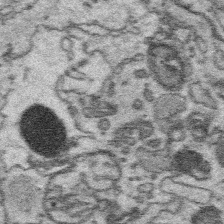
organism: Platynereis dumerilii